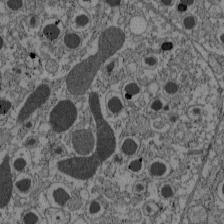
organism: C57BL Mouse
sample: Pancreatic islet